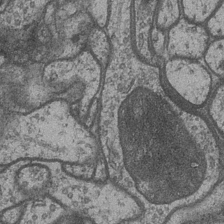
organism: Drosophila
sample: Optic medulla